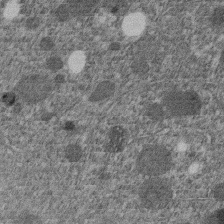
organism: C. elegans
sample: C. elegans embryo early stage